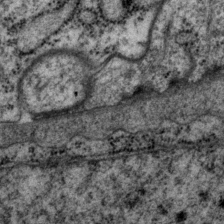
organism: P. pacificus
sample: Pharynx